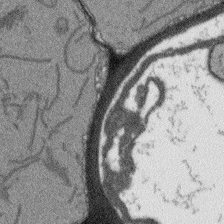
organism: Arabidopsis thaliana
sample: Root tip